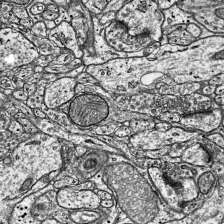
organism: Mouse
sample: Visual Cortex